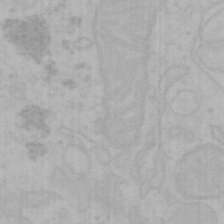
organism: Mouse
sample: Choroid plexus